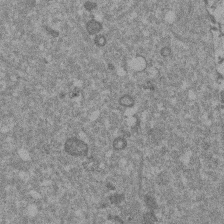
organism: Mouse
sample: Dividing mouse embryo 1 cell stage